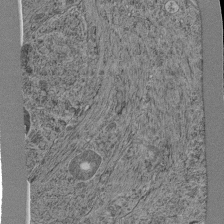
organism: C. elegans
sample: C. elegans pharynx